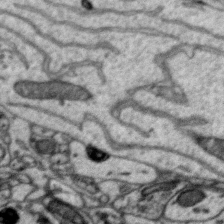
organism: Zebra finch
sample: Brain